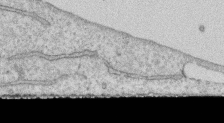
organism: Human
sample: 1205lu cells